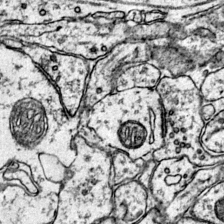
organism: Mouse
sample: Primary visual cortex